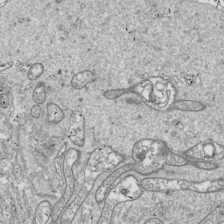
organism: Drosophila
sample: Cell division; meiosis; drosophila spermatocytes